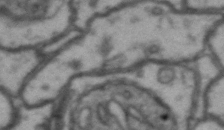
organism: Drosophila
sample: Brain